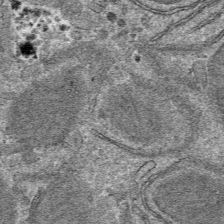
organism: Mouse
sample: Mouse hepatocytes